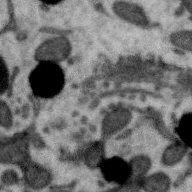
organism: Zebra finch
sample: Brain